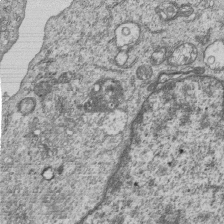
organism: Human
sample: MDA-MB-231 cells